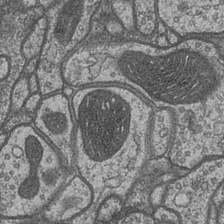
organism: Drosophila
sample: Optic medulla